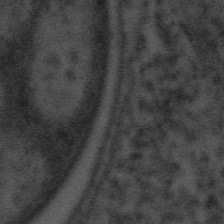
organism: Tuwongella immobilis